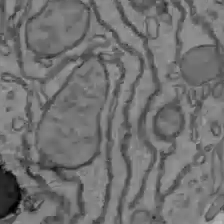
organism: C57BL Mouse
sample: Liver